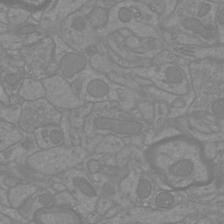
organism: Mouse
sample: Cortical neurons